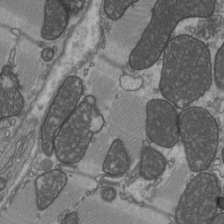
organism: C57BL Mouse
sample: Heart